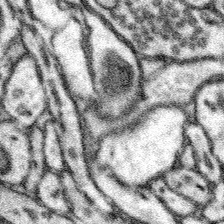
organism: Mouse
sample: Somatosensory cortex neuropil